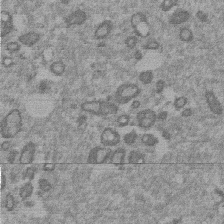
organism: Mouse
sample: Dividing mouse embryo 1 cell stage